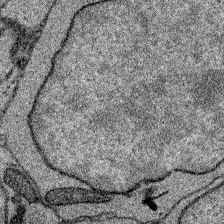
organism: Zebrafish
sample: Larval olfactory bulb